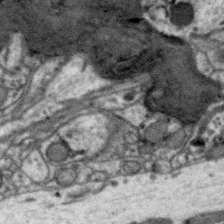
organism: Zebra finch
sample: Brain